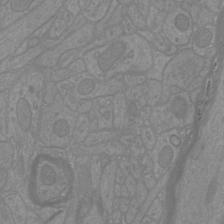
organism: Mouse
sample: Cortical neurons